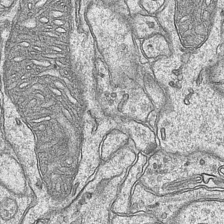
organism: Mouse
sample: CA1 Hippocampus